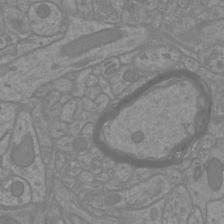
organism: Mouse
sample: Cortical neurons